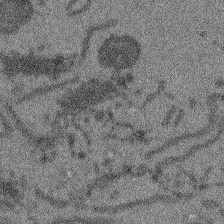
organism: Arabidopsis thaliana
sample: Root tip